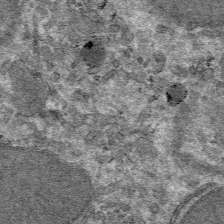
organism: Mouse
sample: Mouse hepatocytes